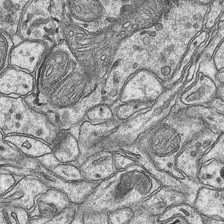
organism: Mouse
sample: CA1 Hippocampus